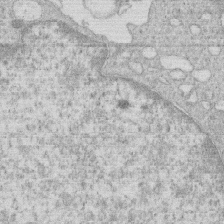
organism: Human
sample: Macrophage cells